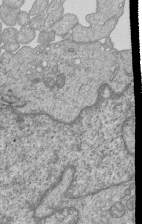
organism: Human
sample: MDA-MB-231 cells